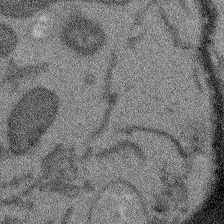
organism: Arabidopsis thaliana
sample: Root tip